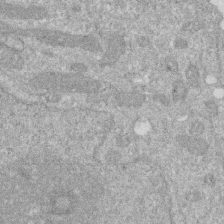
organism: Human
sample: HIV infected U937 cells